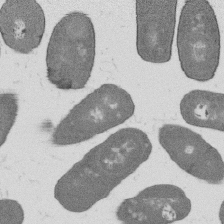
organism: B. subtilis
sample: Bacterial spore